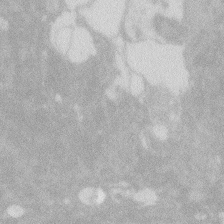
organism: Zebrafish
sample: Macrophage